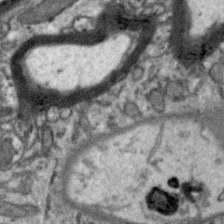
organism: Zebra finch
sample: Brain